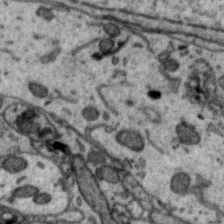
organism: Zebra finch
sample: Brain